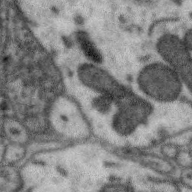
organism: Zebra finch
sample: Brain